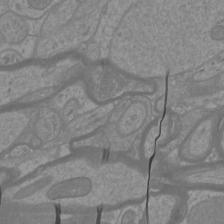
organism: Mouse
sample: Cortical neurons